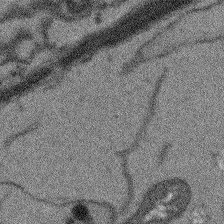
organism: Arabidopsis thaliana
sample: Root tip